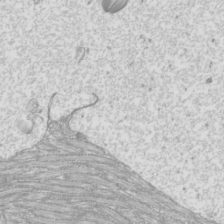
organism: Mouse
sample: Cilia; mouse epididymis